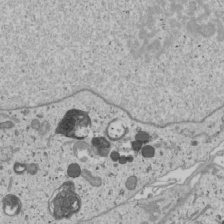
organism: Human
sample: Mitochondria in U2OS cells